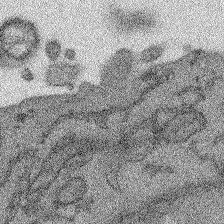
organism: Human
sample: HeLa cells